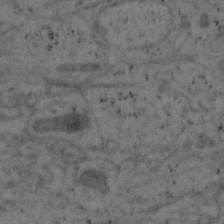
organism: Human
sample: HeLa cells